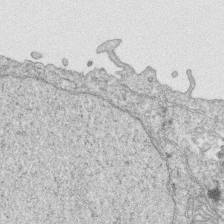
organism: Human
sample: HeLa cell HIV synapse